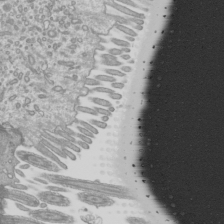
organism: Mouse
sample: Cilia; mouse epididymis